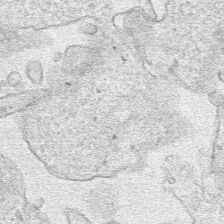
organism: Human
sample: Mitochondria in HCT116 cells